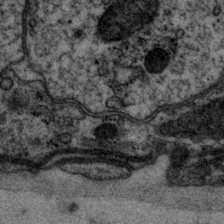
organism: P. pacificus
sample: Pharynx